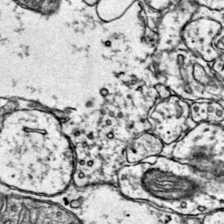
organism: Mouse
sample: Primary visual cortex